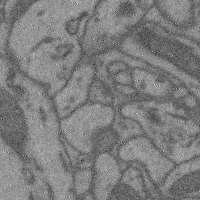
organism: Mouse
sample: Cerebral cortex